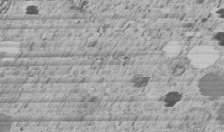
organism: C. elegans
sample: C. elegans embryo early stage